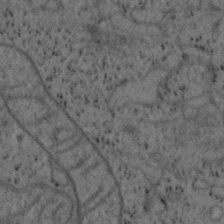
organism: Human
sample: HeLa cells